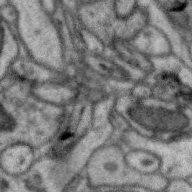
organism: Zebra finch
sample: Brain